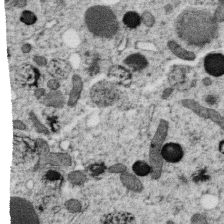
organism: C. elegans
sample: C. elegans oocyte; sperm cells